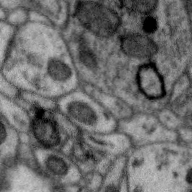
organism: Zebra finch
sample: Brain